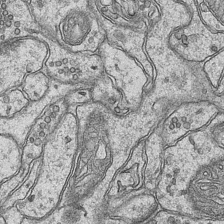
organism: Mouse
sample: CA1 Hippocampus